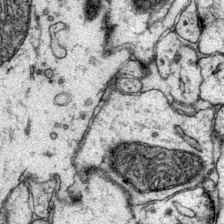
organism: Mouse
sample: Primary visual cortex